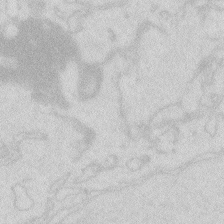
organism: Zebrafish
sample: Macrophage